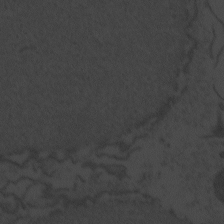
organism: Zebrafish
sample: Macrophage infected with Toxoplasma gondii